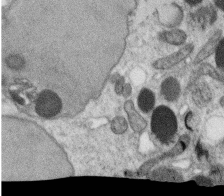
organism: C. elegans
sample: C. elegans oocyte; sperm cells